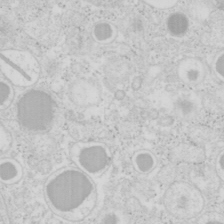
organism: Mouse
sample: Pancreas